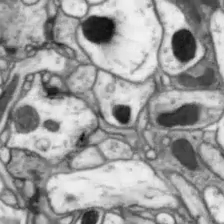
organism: Drosophila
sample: Optic lobe